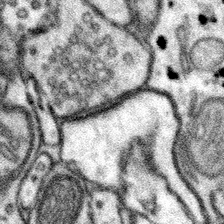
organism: Mouse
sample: Somatosensory cortex neuropil